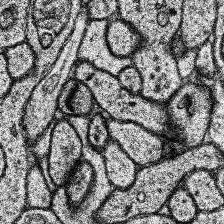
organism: Human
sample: Temporal Lobe